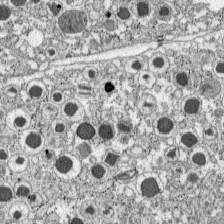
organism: C57BL Mouse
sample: Pancreatic islet